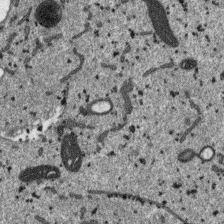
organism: Human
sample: Lung epithelial cells infected with SARS-CoV-2